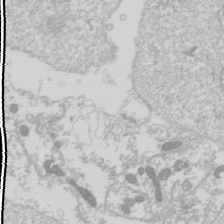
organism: Drosophila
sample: Cell division; meiosis; drosophila spermatocytes